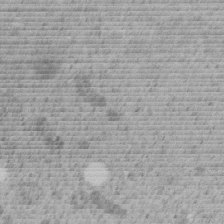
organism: C. elegans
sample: C. elegans embryo early stage